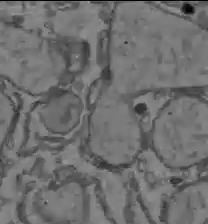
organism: C57BL Mouse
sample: Liver